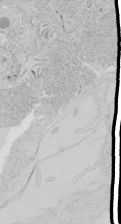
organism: Human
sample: Mitochondria in HCT116 cells